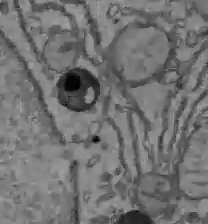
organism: C57BL Mouse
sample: Liver